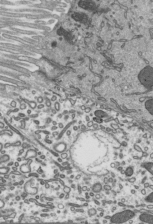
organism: Mouse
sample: Mouse epididymis efferent ductule cilia